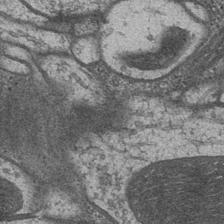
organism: Drosophila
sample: Optic medulla